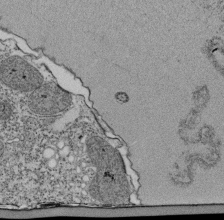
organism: Tetrahymena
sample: Cilia in tetrahymena